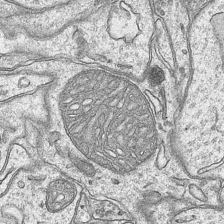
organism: Mouse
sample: CA1 Hippocampus